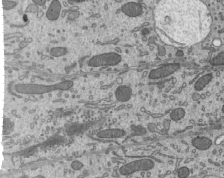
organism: Mouse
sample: Mouse epididymis efferent ductule cilia